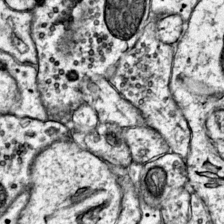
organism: Mouse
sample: Primary visual cortex